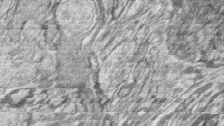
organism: Zebrafish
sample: synaptic ribbons in rod cells and cone cells